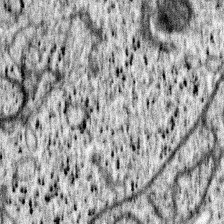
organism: Human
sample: HeLa cells